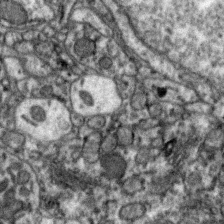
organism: Zebra finch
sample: Brain